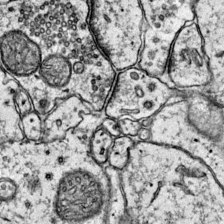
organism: Mouse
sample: Primary visual cortex